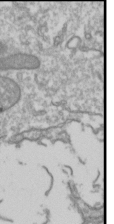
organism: Drosophila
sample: Cell division; meiosis; drosophila spermatocytes